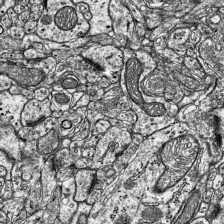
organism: Mouse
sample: Visual Cortex